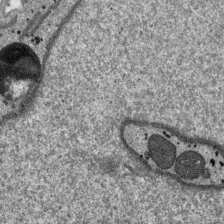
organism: Human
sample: Lung epithelial cells, uninfected (mock) control